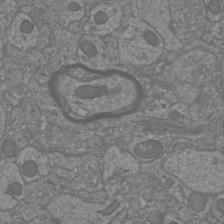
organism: Mouse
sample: Cortical neurons